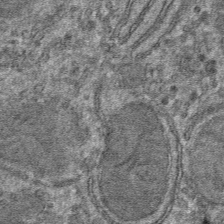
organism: Mouse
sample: Mouse hepatocytes